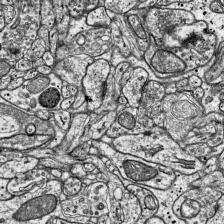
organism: Mouse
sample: Visual Cortex